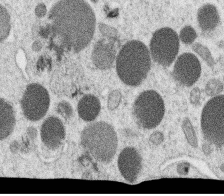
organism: C. elegans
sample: C. elegans oocyte; sperm cells